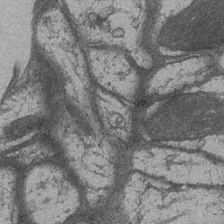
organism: Drosophila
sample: Optic medulla